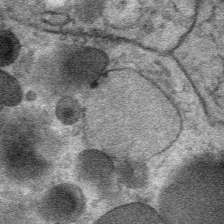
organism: Mouse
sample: Mouse Salivary gland